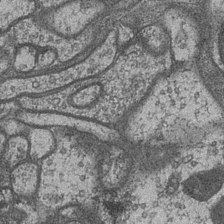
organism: Drosophila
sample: Optic medulla